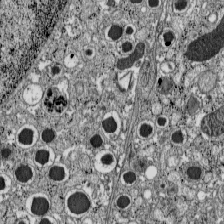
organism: C57BL Mouse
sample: Pancreatic islet